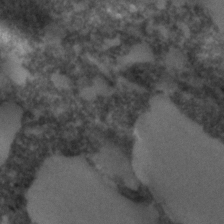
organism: C. elegans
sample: C. elegans embryo